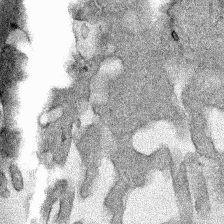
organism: Human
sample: Mitochondria in HCT116 cells